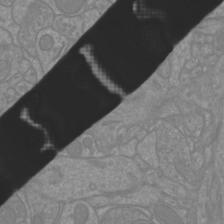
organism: Mouse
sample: Cortical neurons